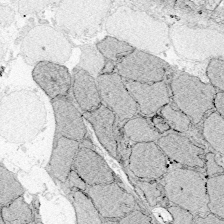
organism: Zebrafish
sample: Whole-Brain